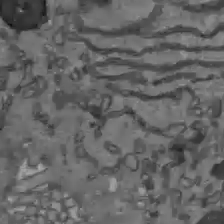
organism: C57BL Mouse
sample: Liver